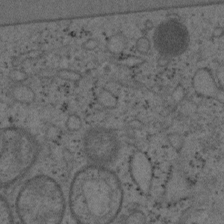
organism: Human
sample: HeLa cells